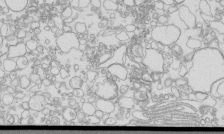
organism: Mouse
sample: Macrophages